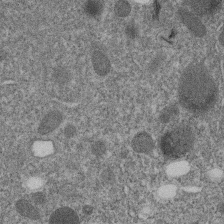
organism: C. elegans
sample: C. elegans embryo early stage